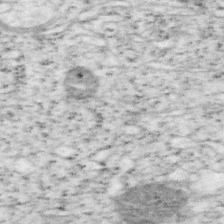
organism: Mouse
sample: OT-I killer T cells with ID8 ovarian cancer cells